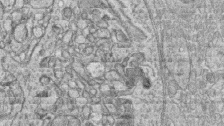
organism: Zebrafish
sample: synaptic ribbons in rod cells and cone cells